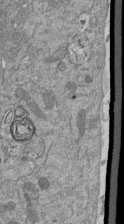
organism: Mouse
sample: ED-1 cell nuclei; centrioles